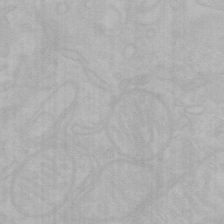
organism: Mouse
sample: Choroid plexus